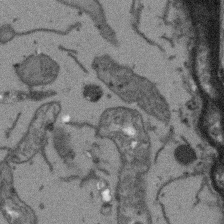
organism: Arabidopsis thaliana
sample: Root tip